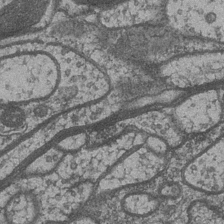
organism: Drosophila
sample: Optic medulla